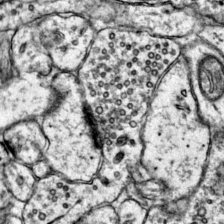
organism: Mouse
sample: Primary visual cortex